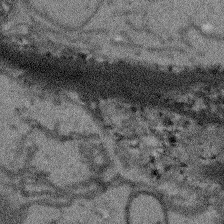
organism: Arabidopsis thaliana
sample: Root tip